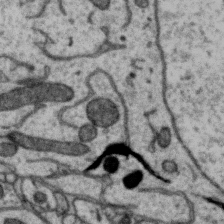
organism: Zebra finch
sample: Brain